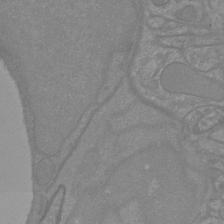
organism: Mouse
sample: Cortical neurons